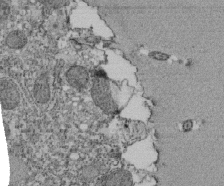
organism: Tetrahymena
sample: Cilia in tetrahymena